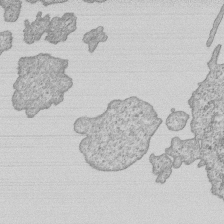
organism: Human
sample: MDA-MB-231 cells